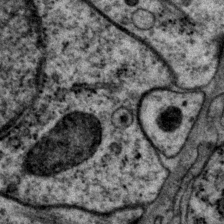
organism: P. pacificus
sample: Pharynx